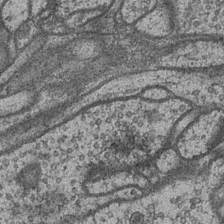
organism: Drosophila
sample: Optic medulla